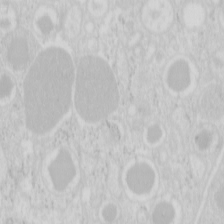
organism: Mouse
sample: Pancreas